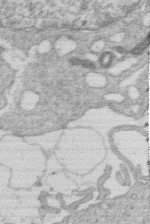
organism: Human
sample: Macrophage cells